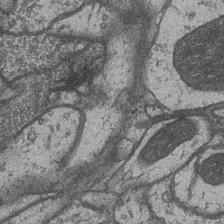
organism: Drosophila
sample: Optic medulla